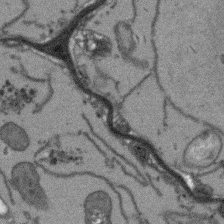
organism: Arabidopsis thaliana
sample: Root tip